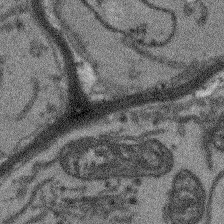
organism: Arabidopsis thaliana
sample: Root tip